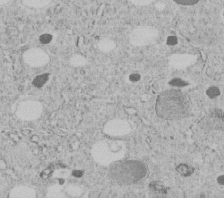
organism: C. elegans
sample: C. elegans embryo early stage